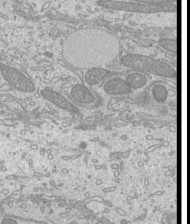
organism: Mouse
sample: Cilia; mouse epididymis